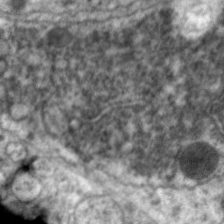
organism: C. elegans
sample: Pharynx